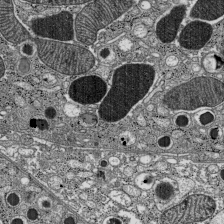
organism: C57BL Mouse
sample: Pancreatic islet